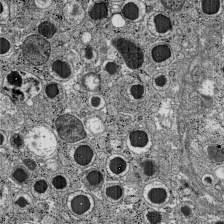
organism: C57BL Mouse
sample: Pancreatic islet